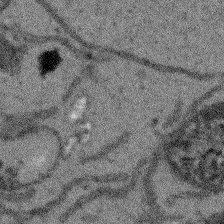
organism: Arabidopsis thaliana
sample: Root tip